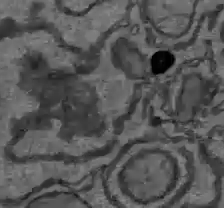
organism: C57BL Mouse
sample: Liver